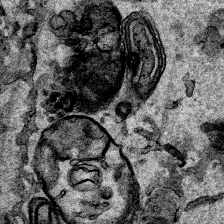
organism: Human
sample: Mitochondria in HCT116 cells